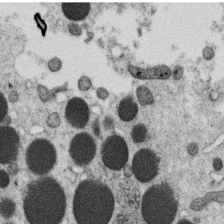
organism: C. elegans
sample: C. elegans oocyte; sperm cells